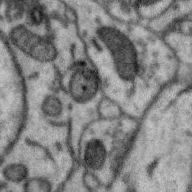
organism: Zebra finch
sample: Brain